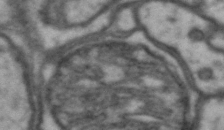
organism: Drosophila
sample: Brain